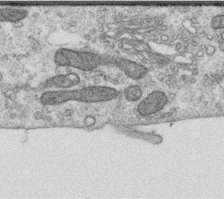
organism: Human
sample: Centriole in RPE cells